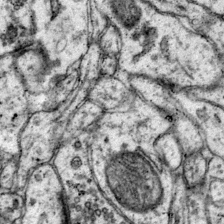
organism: Mouse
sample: Primary visual cortex